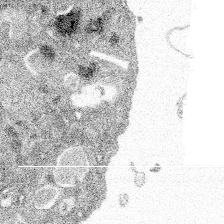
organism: Spongilla lacustris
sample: Multiple